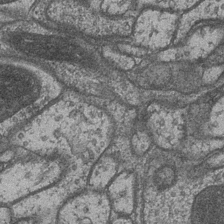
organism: Drosophila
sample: Optic medulla